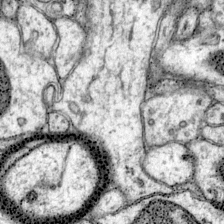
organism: Mouse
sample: Primary visual cortex